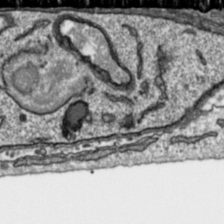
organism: Toxoplasma gondii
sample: Parasites in a vacuole inside a host cell